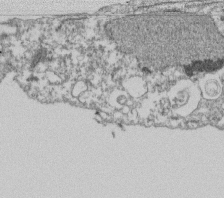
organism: Dictyostelium discoideum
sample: Dictyostelium multivesicular bodies